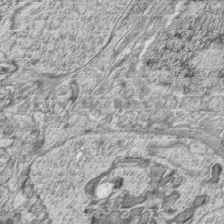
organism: Zebrafish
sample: synaptic ribbons in rod cells and cone cells